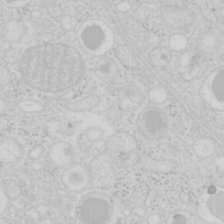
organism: Mouse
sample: Pancreas